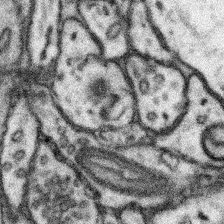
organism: Mouse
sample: Somatosensory cortex neuropil